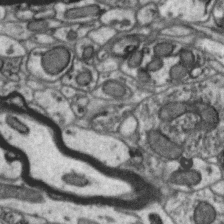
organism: Zebra finch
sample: Brain